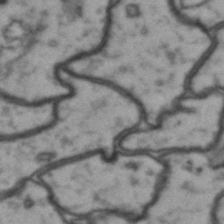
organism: Drosophila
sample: Brain